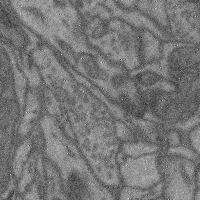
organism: Mouse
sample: Cerebral cortex